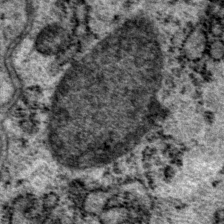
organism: P. pacificus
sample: Pharynx